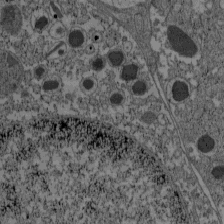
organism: C57BL Mouse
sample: Pancreatic islet